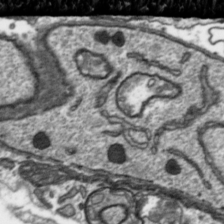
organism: Toxoplasma gondii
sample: Parasites in a vacuole inside a host cell